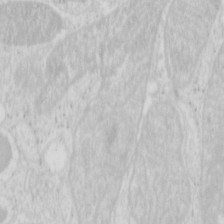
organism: Mouse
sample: Pancreas